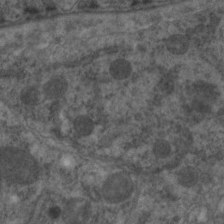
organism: C. elegans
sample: Pharynx